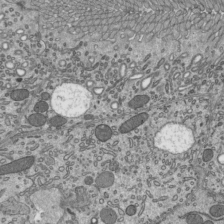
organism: Mouse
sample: Mouse epididymis efferent ductule cilia